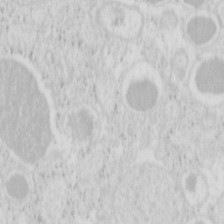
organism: Mouse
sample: Pancreas